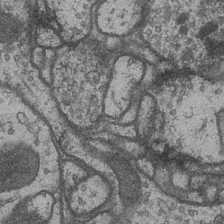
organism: Drosophila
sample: Optic medulla